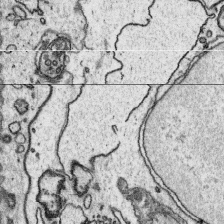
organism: Platynereis dumerilii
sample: Parapodia